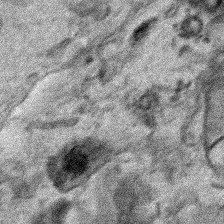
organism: Human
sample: Mitochondria in HCT116 cells